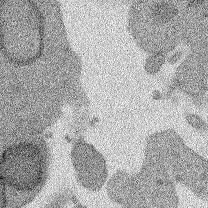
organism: Human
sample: HeLa cells